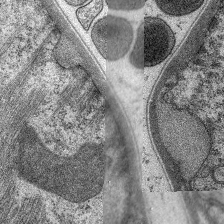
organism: C. elegans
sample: Pharynx